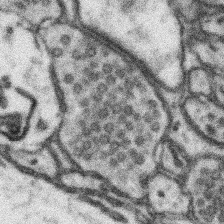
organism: Mouse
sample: Somatosensory cortex neuropil